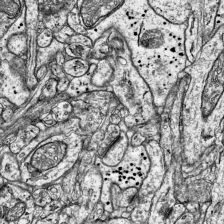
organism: Mouse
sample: Visual Cortex